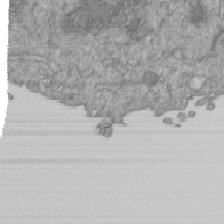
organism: Mouse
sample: ED-1 cell nuclei; centrioles